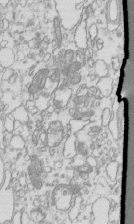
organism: Mouse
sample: Macrophages